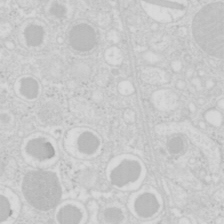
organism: Mouse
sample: Pancreas